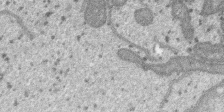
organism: Human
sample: Lung epithelial cells infected with SARS-CoV-2